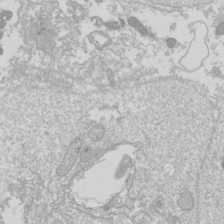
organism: Drosophila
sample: Cell division; meiosis; drosophila spermatocytes